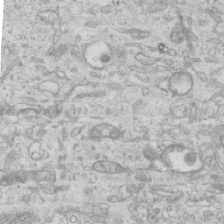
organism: Mouse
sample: Centriole in ependymal cells